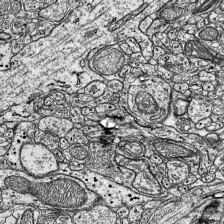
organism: Mouse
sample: Visual Cortex